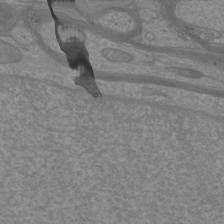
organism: Mouse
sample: Cortical neurons